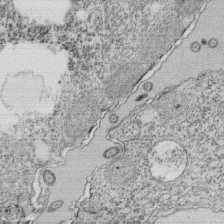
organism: Tetrahymena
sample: Cilia in tetrahymena